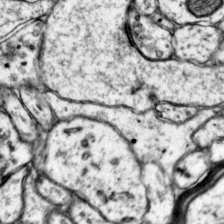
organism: Mouse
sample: Primary visual cortex